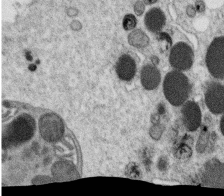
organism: C. elegans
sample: C. elegans oocyte; sperm cells